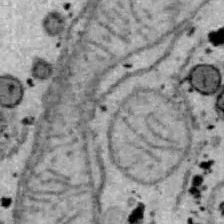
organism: Mouse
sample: Liver from an obese (ob/ob) mouse